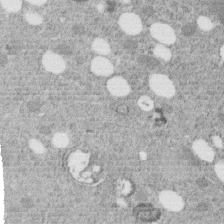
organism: C. elegans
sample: C. elegans embryo early stage